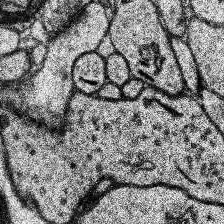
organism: Human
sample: Temporal Lobe